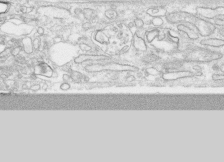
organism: Human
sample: CRL-1474